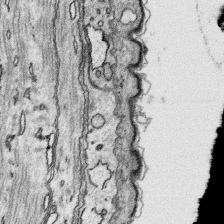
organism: Platynereis dumerilii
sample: Parapodia